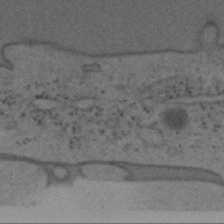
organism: Human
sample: HeLa cells